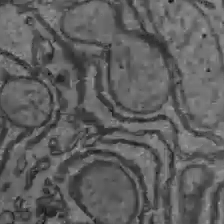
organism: C57BL Mouse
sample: Liver